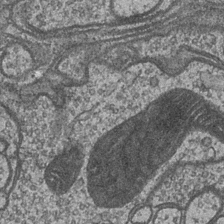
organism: Drosophila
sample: Optic medulla